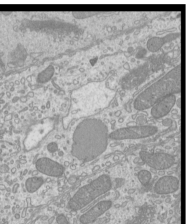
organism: Mouse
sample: Cilia; mouse epididymis